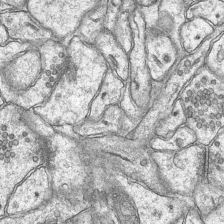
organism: Mouse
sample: CA1 Hippocampus